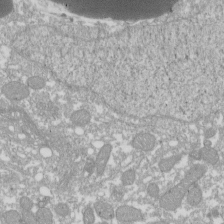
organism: Xenopus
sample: Cilia; centrioles in frog embryo cells